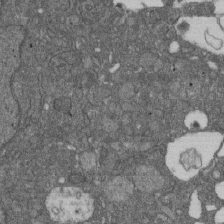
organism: Drosophila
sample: Nephrocyte